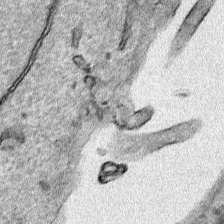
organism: Human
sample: Mitochondria in HCT116 cells